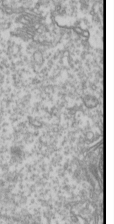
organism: Drosophila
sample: Cell division; meiosis; drosophila spermatocytes